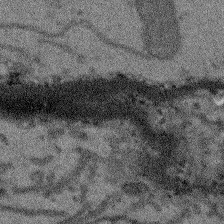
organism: Arabidopsis thaliana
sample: Root tip